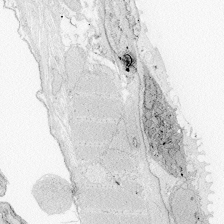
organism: Zebrafish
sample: Whole-Brain